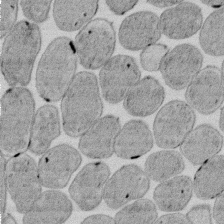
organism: E. coli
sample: Bacterial nucleoid